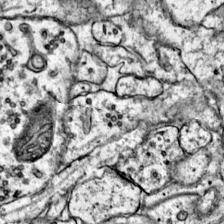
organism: Mouse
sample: Primary visual cortex